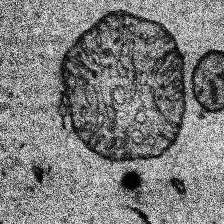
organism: Human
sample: Temporal Lobe